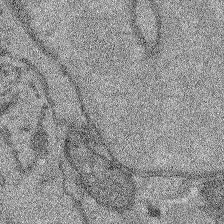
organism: Human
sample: HeLa cells